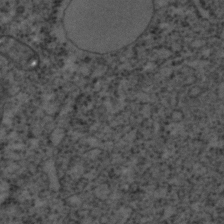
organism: C. elegans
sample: C. elegans embryo